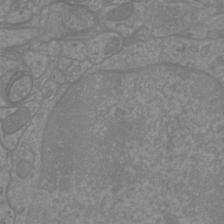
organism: Mouse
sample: Cortical neurons